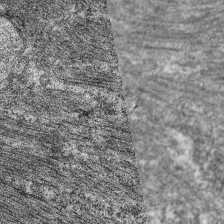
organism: C. elegans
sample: Pharynx